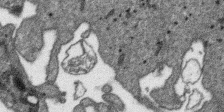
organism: Human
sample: Lung epithelial cells infected with SARS-CoV-2